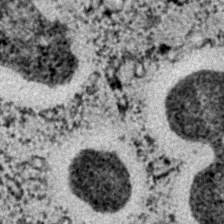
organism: C. elegans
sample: C. elegans embryo